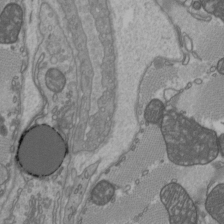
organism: C57BL Mouse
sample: Heart